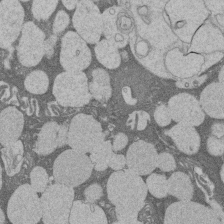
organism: Rat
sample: Salivary granule